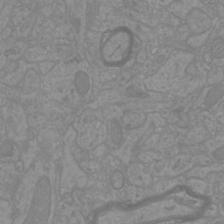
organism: Mouse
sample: Cortical neurons